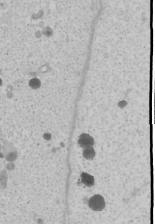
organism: Human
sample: Mitochondria in U2OS cells